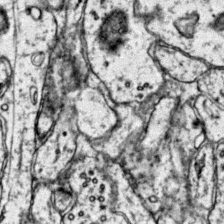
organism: Mouse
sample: Primary visual cortex